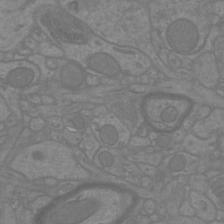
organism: Mouse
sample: Cortical neurons